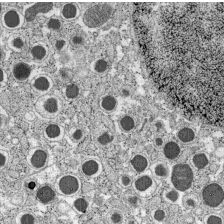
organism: C57BL Mouse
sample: Pancreatic islet